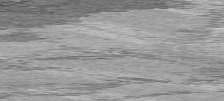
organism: C57BL Mouse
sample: Heart